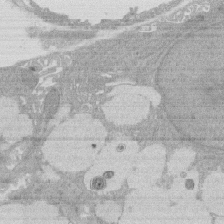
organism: Rat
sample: Salivary granule